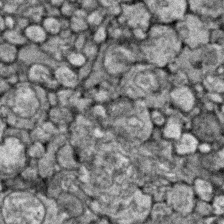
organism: Zebrafish